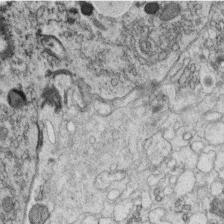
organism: C. elegans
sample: C. elegans oocyte; sperm cells